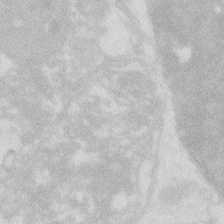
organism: Zebrafish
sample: Macrophage